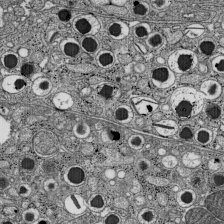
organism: C57BL Mouse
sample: Pancreatic islet